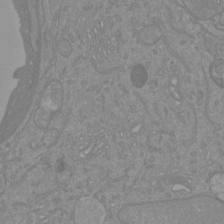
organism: Mouse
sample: Cortical neurons